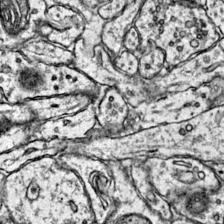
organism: Mouse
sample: Primary visual cortex